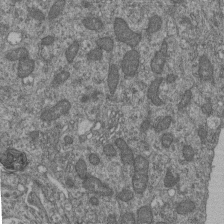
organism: Human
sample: Retinal organoid Rod and Cone cells